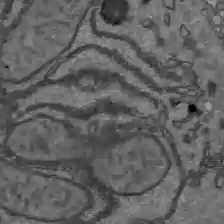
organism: C57BL Mouse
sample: Liver